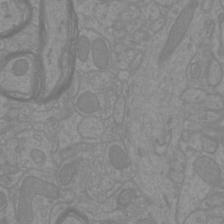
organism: Mouse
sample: Cortical neurons